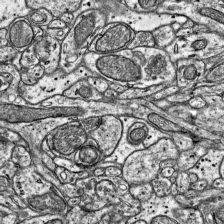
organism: Mouse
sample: Visual Cortex